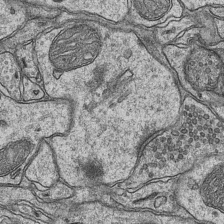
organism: Mouse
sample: CA1 Hippocampus